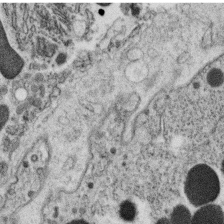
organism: C. elegans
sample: C. elegans oocyte; sperm cells